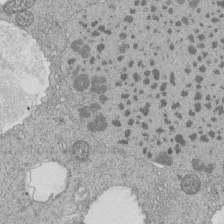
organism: Tetrahymena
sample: Cilia in tetrahymena